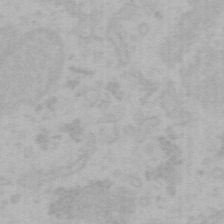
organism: Mouse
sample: Choroid plexus